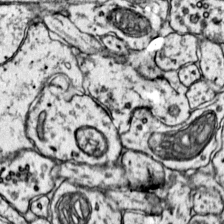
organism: Mouse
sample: Primary visual cortex